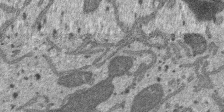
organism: Human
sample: Lung epithelial cells infected with SARS-CoV-2